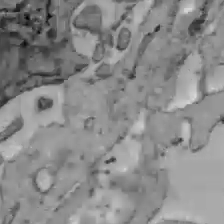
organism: C57BL Mouse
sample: Liver